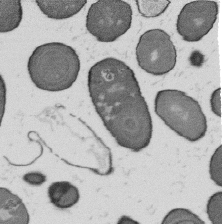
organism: B. subtilis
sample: Bacterial spore